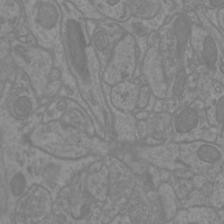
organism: Mouse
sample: Cortical neurons